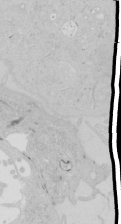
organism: Human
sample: Mitochondria in HCT116 cells